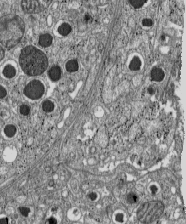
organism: C57BL Mouse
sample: Pancreatic islet